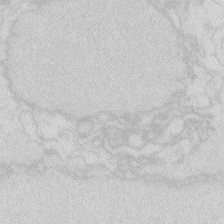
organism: Zebrafish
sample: Macrophage